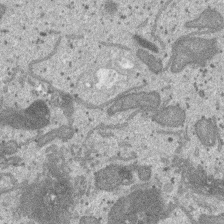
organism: Human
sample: Lung epithelial cells infected with SARS-CoV-2